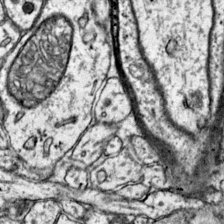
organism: Mouse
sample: Primary visual cortex